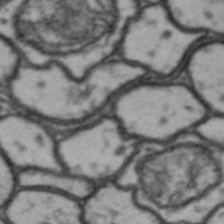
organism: Drosophila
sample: Brain